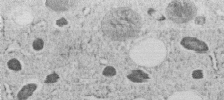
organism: C. elegans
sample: C. elegans embryo early stage